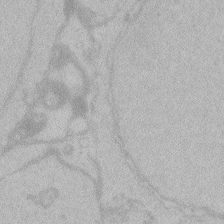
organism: Zebrafish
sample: Macrophage infected with Toxoplasma gondii